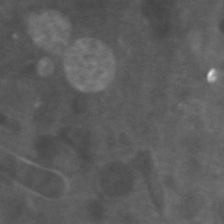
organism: Zebrafish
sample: Zebrafish embryo